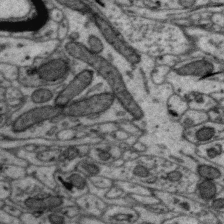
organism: Zebra finch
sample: Brain